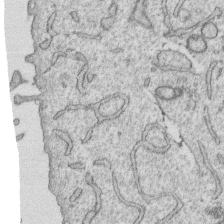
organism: Human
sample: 1205lu cells